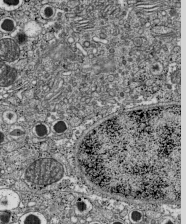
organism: C57BL Mouse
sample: Pancreatic islet